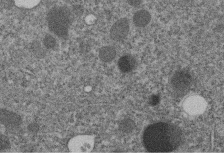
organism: C. elegans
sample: C. elegans embryo early stage